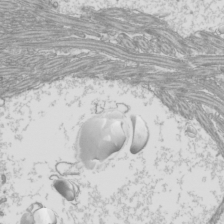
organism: Mouse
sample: Cilia; mouse epididymis